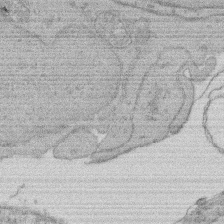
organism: Rat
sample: Salivary granule